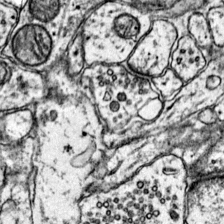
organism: Mouse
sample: Primary visual cortex